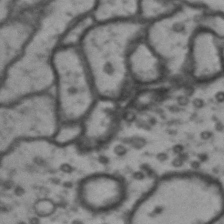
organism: Drosophila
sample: Brain